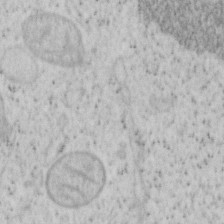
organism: Human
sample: HeLa cells